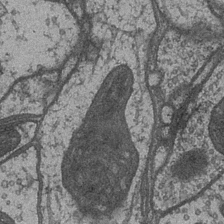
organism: Drosophila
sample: Optic medulla